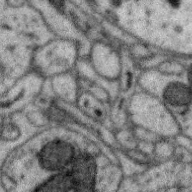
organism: Zebra finch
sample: Brain